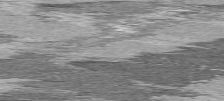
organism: C57BL Mouse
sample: Heart